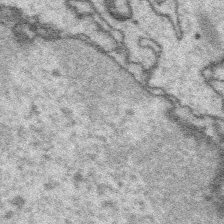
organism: Platynereis dumerilii